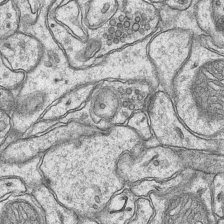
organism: Mouse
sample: CA1 Hippocampus